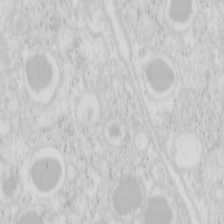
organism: Mouse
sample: Pancreas